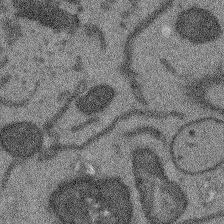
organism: Arabidopsis thaliana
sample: Root tip